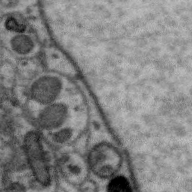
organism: Zebra finch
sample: Brain